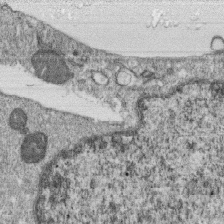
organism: African green monkey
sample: Vero E6 cells infected with SARS-CoV-2